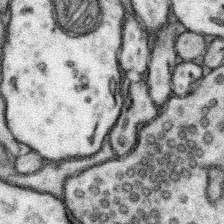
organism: Mouse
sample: Somatosensory cortex neuropil